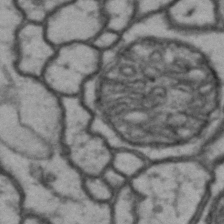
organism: Drosophila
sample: Brain